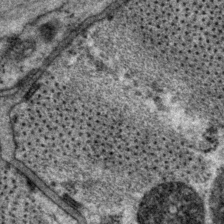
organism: P. pacificus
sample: Pharynx